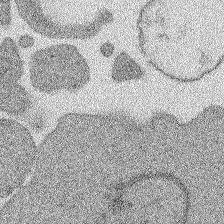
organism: Human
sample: HeLa cells